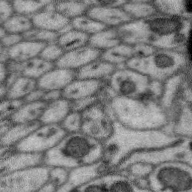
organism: Zebra finch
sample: Brain